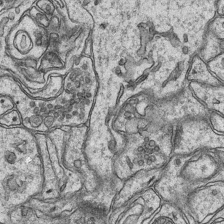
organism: Mouse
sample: CA1 Hippocampus